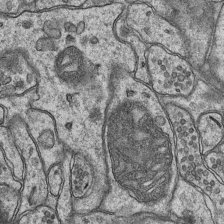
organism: Mouse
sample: CA1 Hippocampus